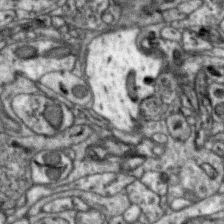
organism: Zebra finch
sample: Brain